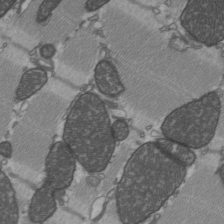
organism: C57BL Mouse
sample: Heart